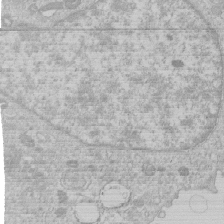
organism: Human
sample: Macrophage cells